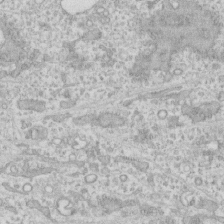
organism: Human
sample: CRL-1474